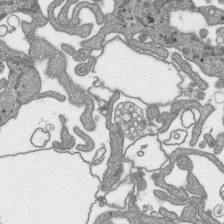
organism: Human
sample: Lung epithelial cells infected with SARS-CoV-2